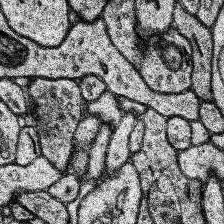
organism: Human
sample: Temporal Lobe